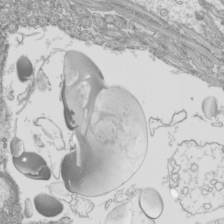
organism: Mouse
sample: Cilia; mouse epididymis